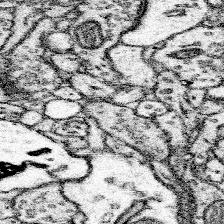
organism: Mouse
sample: Somatosensory cortex neuropil